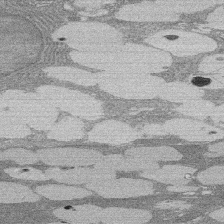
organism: Rat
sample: Salivary granule